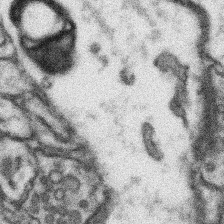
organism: Mouse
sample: Somatosensory cortex neuropil